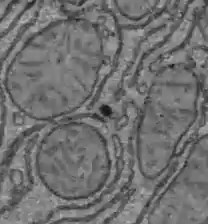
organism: C57BL Mouse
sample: Liver